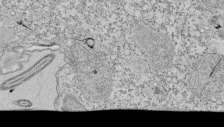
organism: Tetrahymena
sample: Cilia in tetrahymena